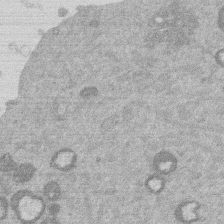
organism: Mouse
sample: Dividing mouse embryo 1 cell stage